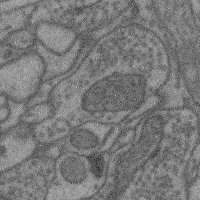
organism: Mouse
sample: Cerebral cortex